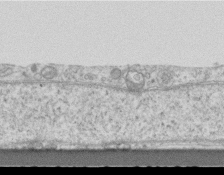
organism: Mouse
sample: Centriole in ependymal cells